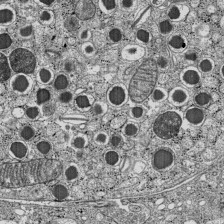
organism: C57BL Mouse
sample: Pancreatic islet